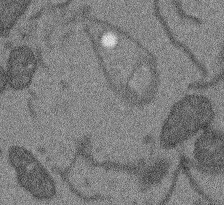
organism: Arabidopsis thaliana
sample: Root tip